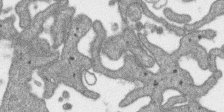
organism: Human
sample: Lung epithelial cells infected with SARS-CoV-2